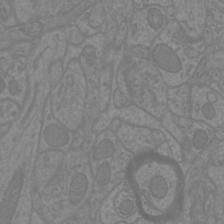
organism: Mouse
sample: Cortical neurons